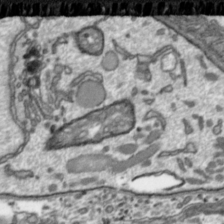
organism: Toxoplasma gondii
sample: Parasites in a vacuole inside a host cell